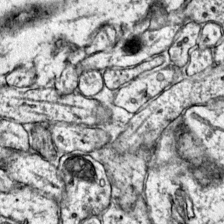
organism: Mouse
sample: Primary visual cortex